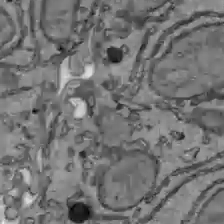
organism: C57BL Mouse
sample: Liver